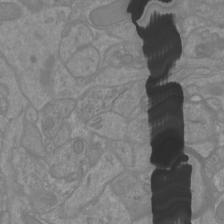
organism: Mouse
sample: Cortical neurons